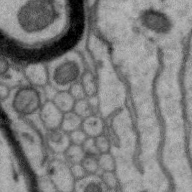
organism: Zebra finch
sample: Brain